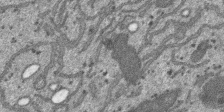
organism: Human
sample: Lung epithelial cells infected with SARS-CoV-2